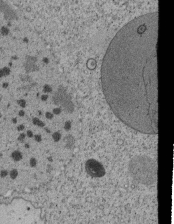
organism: Tetrahymena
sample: Cilia in tetrahymena